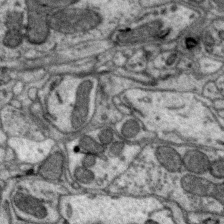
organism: Zebra finch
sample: Brain